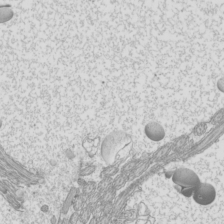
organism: Mouse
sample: Cilia; mouse epididymis